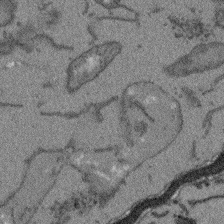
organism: Arabidopsis thaliana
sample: Root tip